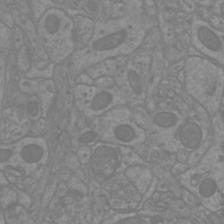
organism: Mouse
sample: Cortical neurons